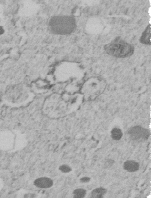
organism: C. elegans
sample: C. elegans embryo early stage